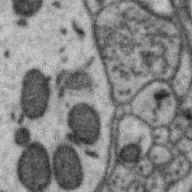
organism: Zebra finch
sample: Brain